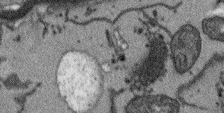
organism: Arabidopsis thaliana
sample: Root tip